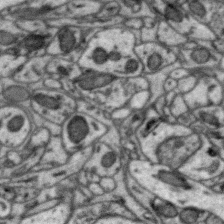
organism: Zebra finch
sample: Brain